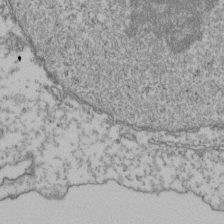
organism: Human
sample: Activated Jurkat CD4+ T cells